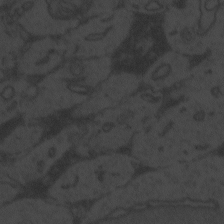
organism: Zebrafish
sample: Macrophage infected with Toxoplasma gondii